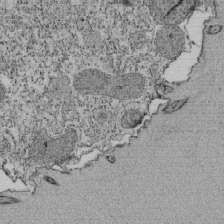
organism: Tetrahymena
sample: Cilia in tetrahymena